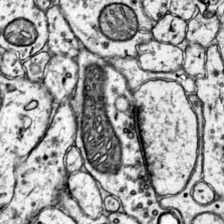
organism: Mouse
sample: Primary visual cortex